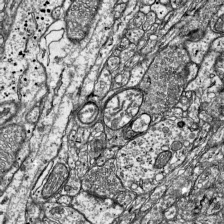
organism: Mouse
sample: Visual Cortex